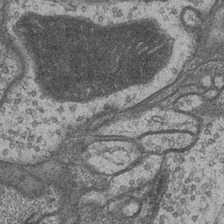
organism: Drosophila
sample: Optic medulla